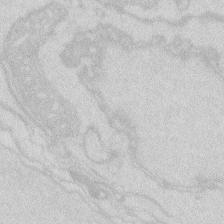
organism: Zebrafish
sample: Macrophage